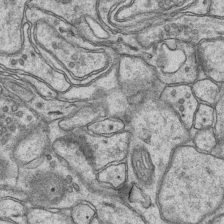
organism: Mouse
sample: CA1 Hippocampus